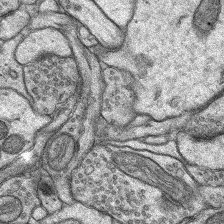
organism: Rat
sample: Hippocampus